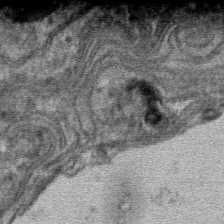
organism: Mouse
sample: Mouse hepatocytes